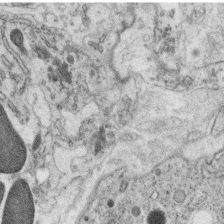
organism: C. elegans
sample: C. elegans oocyte; sperm cells